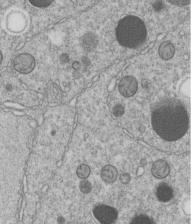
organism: C. elegans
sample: C. elegans embryo early stage